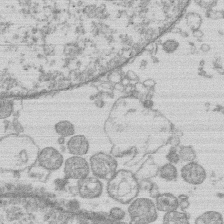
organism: Human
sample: Macrophage cells